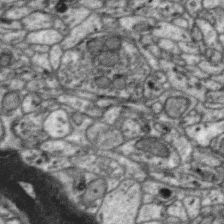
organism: Zebra finch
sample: Brain